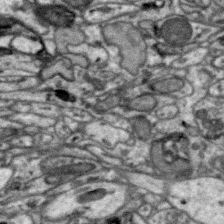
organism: Zebra finch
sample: Brain